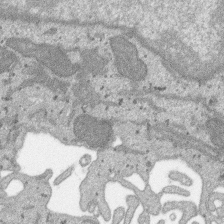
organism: Human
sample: Lung epithelial cells infected with SARS-CoV-2